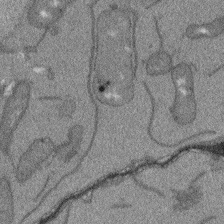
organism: Arabidopsis thaliana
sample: Root tip